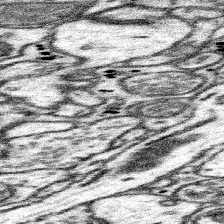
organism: Mouse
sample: Somatosensory cortex neuropil